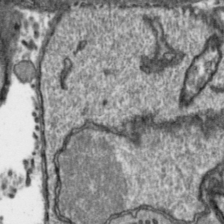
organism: Toxoplasma gondii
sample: Parasites in a vacuole inside a host cell